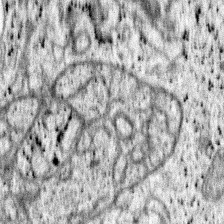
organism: Human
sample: HeLa cells